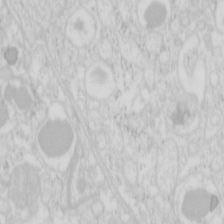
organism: Mouse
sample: Pancreas